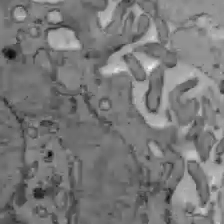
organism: C57BL Mouse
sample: Liver